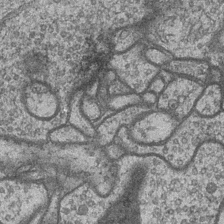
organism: Drosophila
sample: Optic medulla